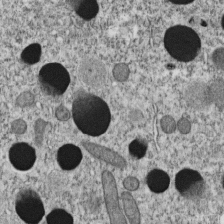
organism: C. elegans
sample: C. elegans embryo early stage